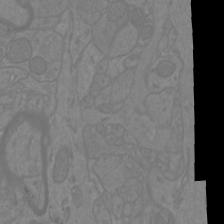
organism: Mouse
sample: Cortical neurons